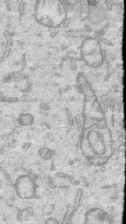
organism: Human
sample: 1205lu cells